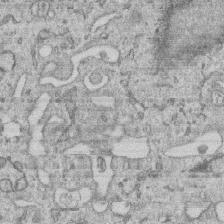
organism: Human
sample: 1205lu cells